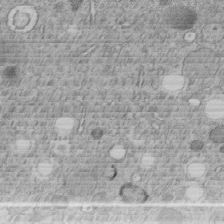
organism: C. elegans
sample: C. elegans embryo early stage